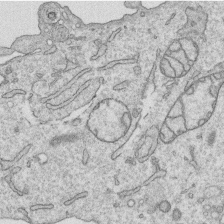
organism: Human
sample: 1205lu cells